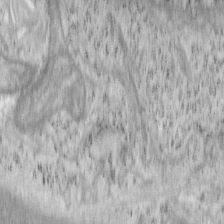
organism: Human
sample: HeLa cells